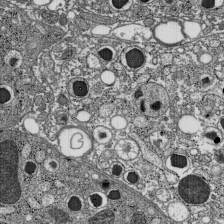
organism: C57BL Mouse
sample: Pancreatic islet